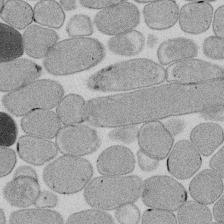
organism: E. coli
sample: Bacterial nucleoid